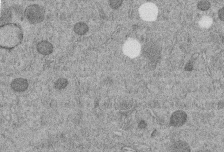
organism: C. elegans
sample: C. elegans embryo early stage